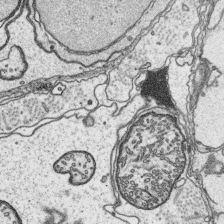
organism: Platynereis dumerilii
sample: Parapodia